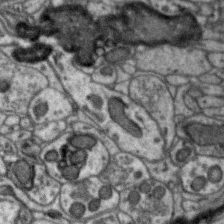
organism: Zebra finch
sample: Brain